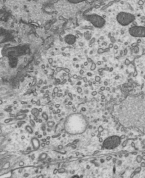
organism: Mouse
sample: Mouse epididymis efferent ductule cilia